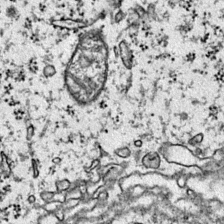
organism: Mouse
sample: Primary visual cortex